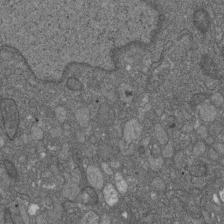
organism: Drosophila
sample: Nephrocyte